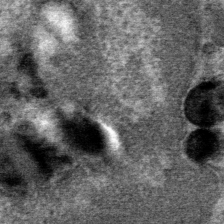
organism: Mouse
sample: Mouse Salivary gland